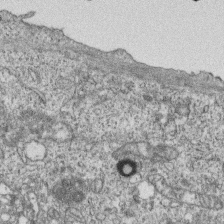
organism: Human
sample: HeLa cell HIV synapse